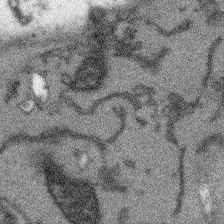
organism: Arabidopsis thaliana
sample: Root tip